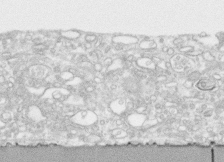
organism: Human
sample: CRL-1474